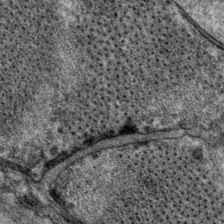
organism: P. pacificus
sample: Pharynx